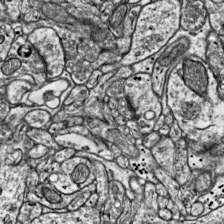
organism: Mouse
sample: Visual Cortex